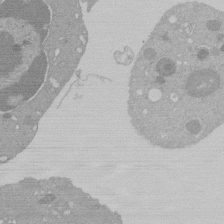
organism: Mouse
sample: Activated Pmel transgenic CD8+ T Cells